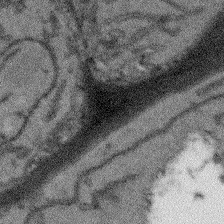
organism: Arabidopsis thaliana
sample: Root tip